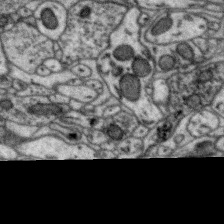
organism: Zebra finch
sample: Brain